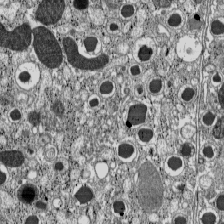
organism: C57BL Mouse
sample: Pancreatic islet